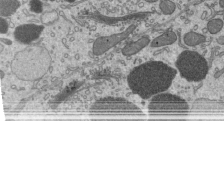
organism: Mouse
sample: Mouse epididymis efferent ductule cilia